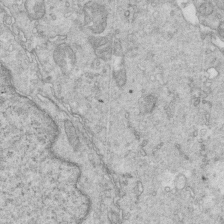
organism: Mouse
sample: Multiciliated cells